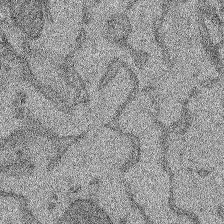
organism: Human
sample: HeLa cells